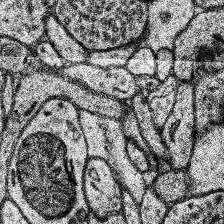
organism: Human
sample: Temporal Lobe